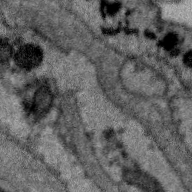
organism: Zebra finch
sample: Brain